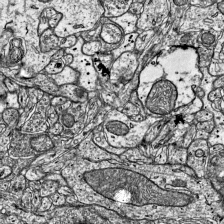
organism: Mouse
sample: Visual Cortex